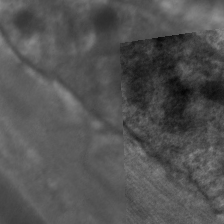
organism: C. elegans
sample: Pharynx